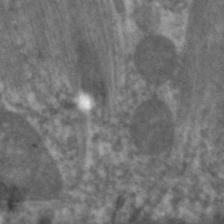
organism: C. elegans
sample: Pharynx